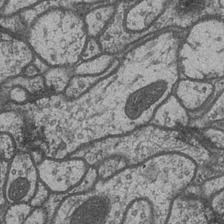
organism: Drosophila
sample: Optic medulla